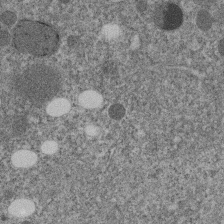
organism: C. elegans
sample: C. elegans embryo early stage